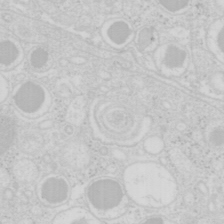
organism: Mouse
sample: Pancreas